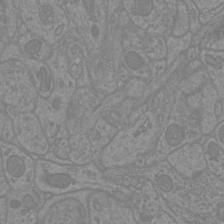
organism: Mouse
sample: Cortical neurons